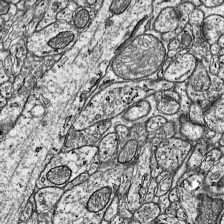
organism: Mouse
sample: Visual Cortex